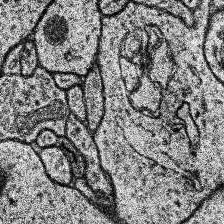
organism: Human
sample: Temporal Lobe